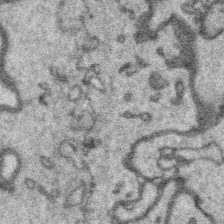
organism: Platynereis dumerilii